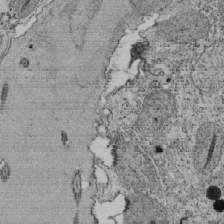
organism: Tetrahymena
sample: Cilia in tetrahymena